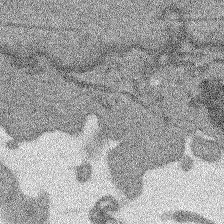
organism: Human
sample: HeLa cells